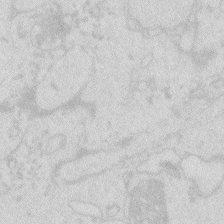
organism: Zebrafish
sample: Macrophage